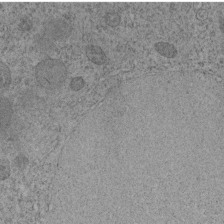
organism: C. elegans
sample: C. elegans embryo early stage